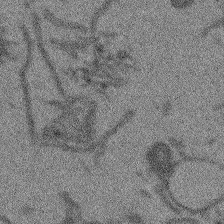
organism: Arabidopsis thaliana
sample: Root tip